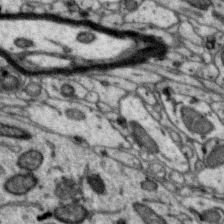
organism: Zebra finch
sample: Brain